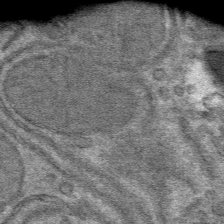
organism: Mouse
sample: Mouse hepatocytes